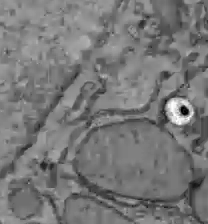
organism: C57BL Mouse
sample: Liver